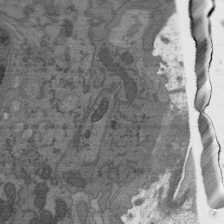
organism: C. elegans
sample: AFD neurons C. elegans